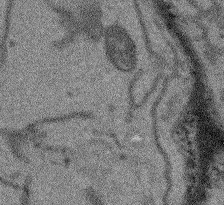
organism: Arabidopsis thaliana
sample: Root tip